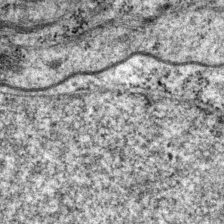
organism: P. pacificus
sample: Pharynx